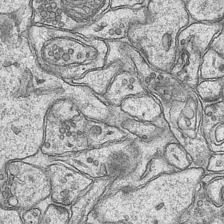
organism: Mouse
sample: CA1 Hippocampus